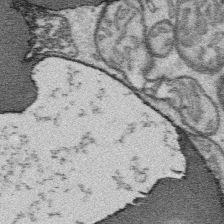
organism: Platynereis dumerilii